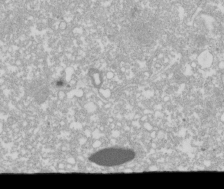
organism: Xenopus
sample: Cilia; centrioles in frog embryo cells